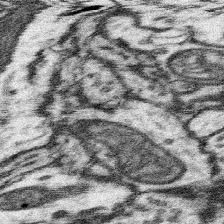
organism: Mouse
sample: Somatosensory cortex neuropil